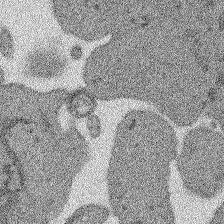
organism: Human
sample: HeLa cells